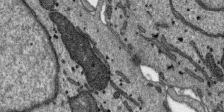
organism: Human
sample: Lung epithelial cells, uninfected (mock) control